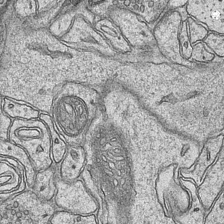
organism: Mouse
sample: CA1 Hippocampus